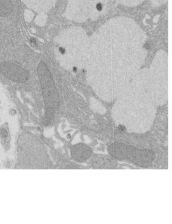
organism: Rat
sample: Salivary granule